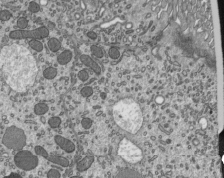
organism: Mouse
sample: Mouse epididymis efferent ductule cilia